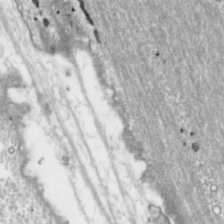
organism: Toxoplasma gondii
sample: Parasites in a vacuole inside a host cell